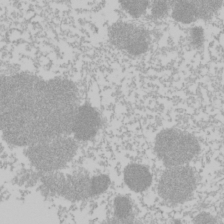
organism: Mouse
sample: Cancer cell death in ED-1 cells